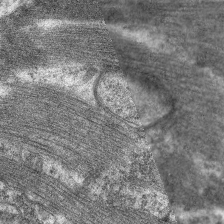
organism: C. elegans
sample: Pharynx